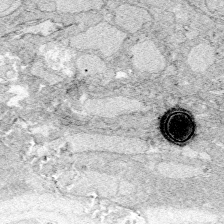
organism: Zebrafish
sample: Whole-Brain